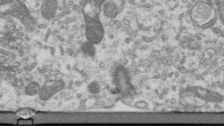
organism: Human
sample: Centriole in RPE cells